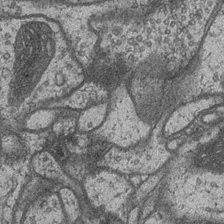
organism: Drosophila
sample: Optic medulla